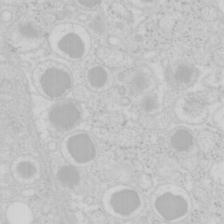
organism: Mouse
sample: Pancreas